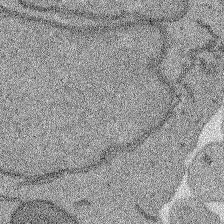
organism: Human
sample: HeLa cells